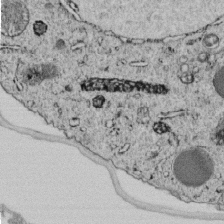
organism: C. elegans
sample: C. elegans embryo early stage